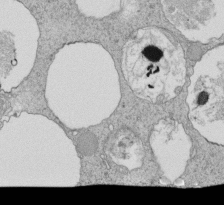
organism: Tetrahymena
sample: Cilia in tetrahymena